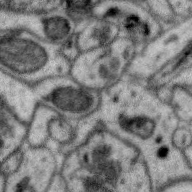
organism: Zebra finch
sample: Brain